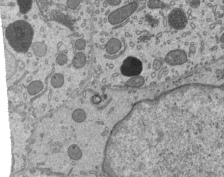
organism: Mouse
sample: Mouse epididymis efferent ductule cilia